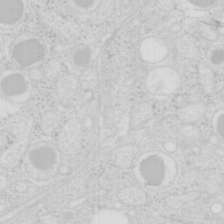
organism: Mouse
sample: Pancreas